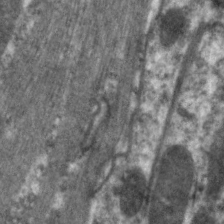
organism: C. elegans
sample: Pharynx